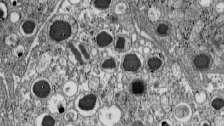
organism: C57BL Mouse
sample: Pancreatic islet